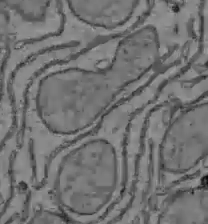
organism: C57BL Mouse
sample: Liver